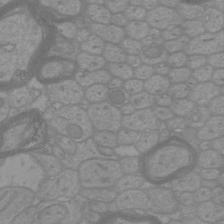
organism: Mouse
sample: Cortical neurons